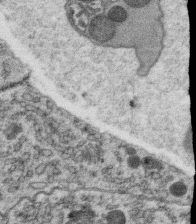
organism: C. elegans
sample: C. elegans oocyte; sperm cells